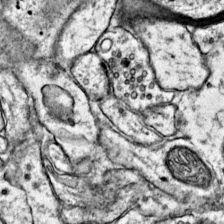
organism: Mouse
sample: Primary visual cortex